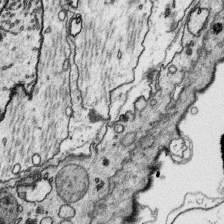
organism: Platynereis dumerilii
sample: Parapodia